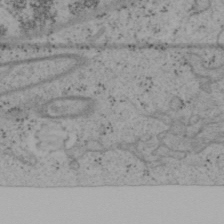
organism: Human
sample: HeLa cells